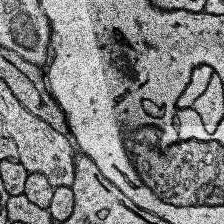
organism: Human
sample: Temporal Lobe